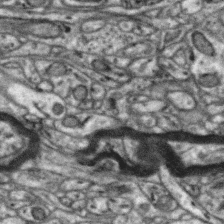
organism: Zebra finch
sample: Brain